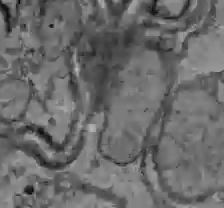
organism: C57BL Mouse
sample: Liver